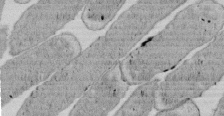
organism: E. coli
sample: Bacterial nucleoid